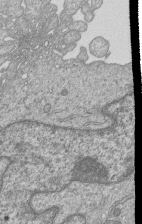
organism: Human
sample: MDA-MB-231 cells